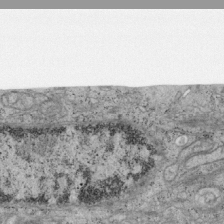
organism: Human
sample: HeLa cells